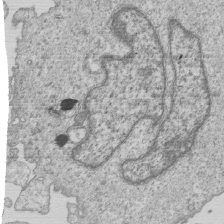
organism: Human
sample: MDA-MB-231 cells